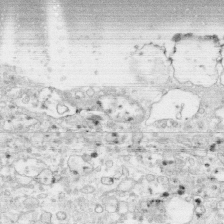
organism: Human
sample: CRL-1474